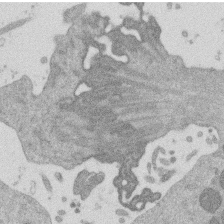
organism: Mouse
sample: Dividing mouse embryo 1 cell stage